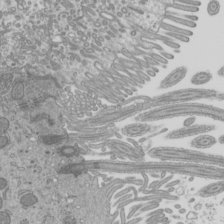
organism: Mouse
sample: Cilia; mouse epididymis